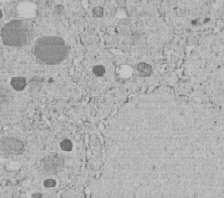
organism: C. elegans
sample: C. elegans embryo early stage